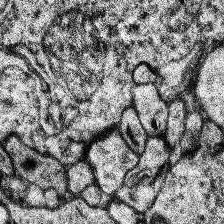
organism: Human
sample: Temporal Lobe